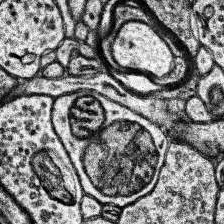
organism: Human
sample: Temporal Lobe